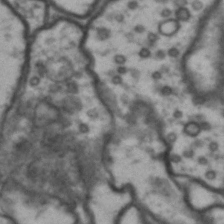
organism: Drosophila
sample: Brain